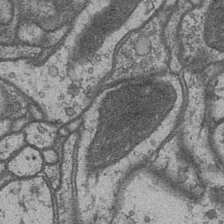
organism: Drosophila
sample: Optic medulla